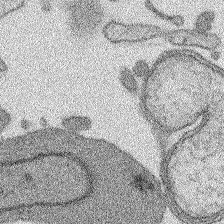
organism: Human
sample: HeLa cells